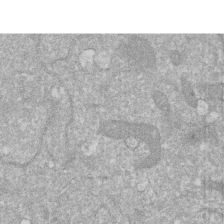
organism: Human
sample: HIV infected U937 cells